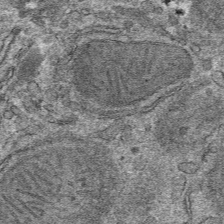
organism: Mouse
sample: Mouse hepatocytes